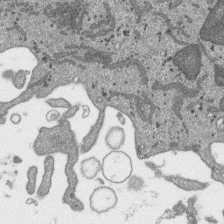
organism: Human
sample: Lung epithelial cells infected with SARS-CoV-2